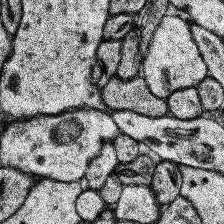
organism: Human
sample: Temporal Lobe